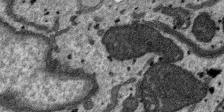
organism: Human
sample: Lung epithelial cells, uninfected (mock) control